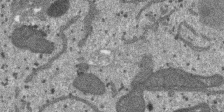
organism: Human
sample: Lung epithelial cells infected with SARS-CoV-2